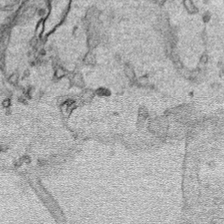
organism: Human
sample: Mitochondria in HCT116 cells